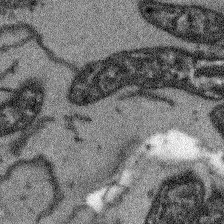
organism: Arabidopsis thaliana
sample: Root tip